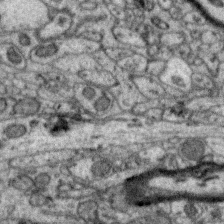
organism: Zebra finch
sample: Brain